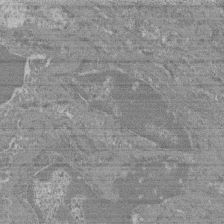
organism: Mouse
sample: Glomerulus